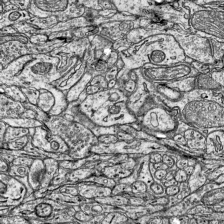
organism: Mouse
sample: Visual Cortex